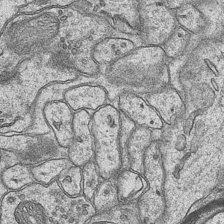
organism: Mouse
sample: CA1 Hippocampus